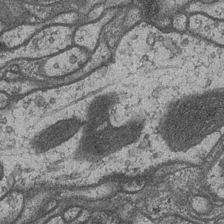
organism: Drosophila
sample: Optic medulla